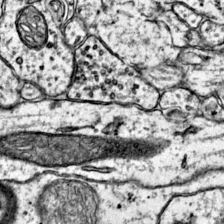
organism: Mouse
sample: Primary visual cortex